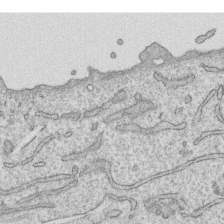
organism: Human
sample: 1205lu cells